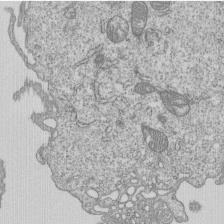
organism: Human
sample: MDA-MB-231 cells